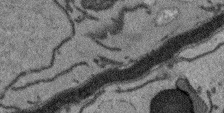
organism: Arabidopsis thaliana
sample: Root tip